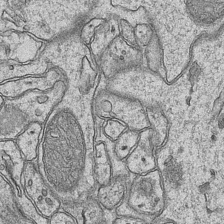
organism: Mouse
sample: CA1 Hippocampus